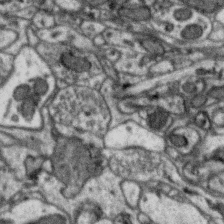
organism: Zebra finch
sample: Brain